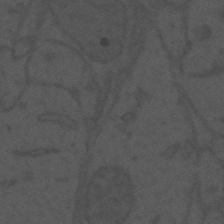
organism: Mouse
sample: Suprachiasmatic nucleus